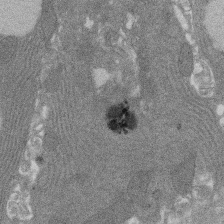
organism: Rat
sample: Salivary granule